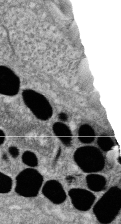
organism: Zebrafish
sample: Cilia; retinal pigment epithelium